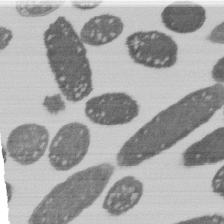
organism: E. coli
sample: Bacterial nucleoid